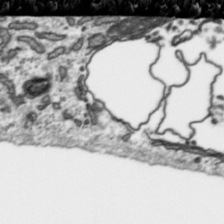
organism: Toxoplasma gondii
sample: Parasites in a vacuole inside a host cell